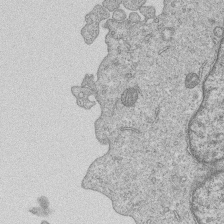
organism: Human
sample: MDA-MB-231 cells